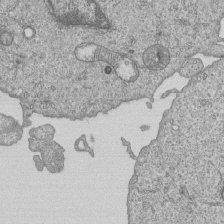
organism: Human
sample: MDA-MB-231 cells